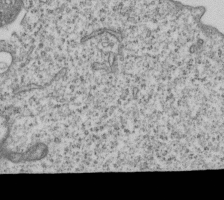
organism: Human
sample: MDA-MB-231 cells